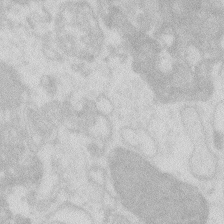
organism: Zebrafish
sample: Macrophage